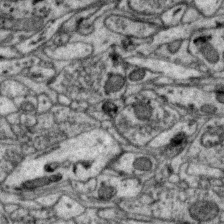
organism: Zebra finch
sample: Brain